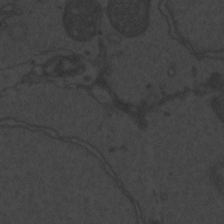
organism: Zebrafish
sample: Macrophage infected with Toxoplasma gondii